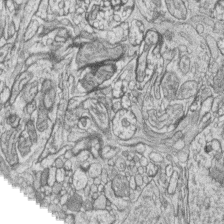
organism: Zebrafish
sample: synaptic ribbons in rod cells and cone cells